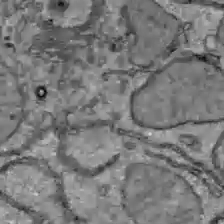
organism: C57BL Mouse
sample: Liver